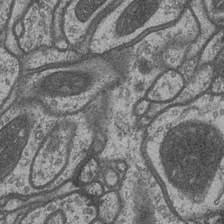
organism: Drosophila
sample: Optic medulla